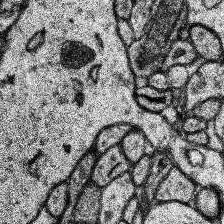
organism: Human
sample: Temporal Lobe